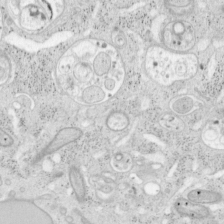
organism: Mouse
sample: OT-I killer T cells with ID8 ovarian cancer cells